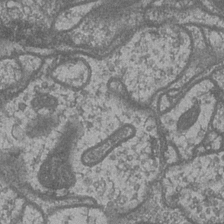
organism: Drosophila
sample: Optic medulla